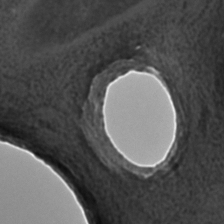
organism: C. elegans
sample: C. elegans embryo